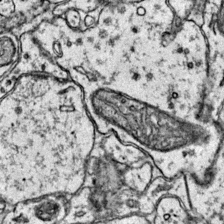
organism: Mouse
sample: Primary visual cortex